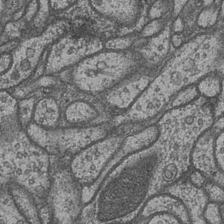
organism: Drosophila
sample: Optic medulla